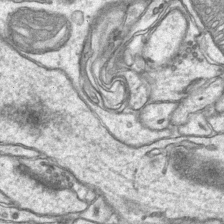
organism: Mouse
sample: CA1 Hippocampus